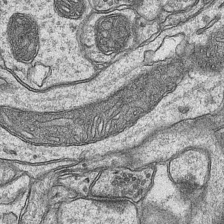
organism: Mouse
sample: CA1 Hippocampus